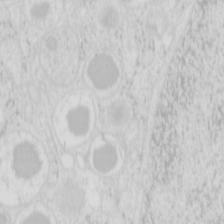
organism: Mouse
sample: Pancreas